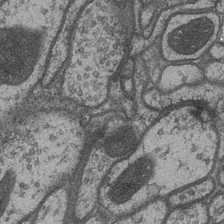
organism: Drosophila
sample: Optic medulla